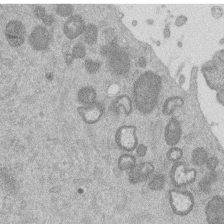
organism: Mouse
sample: Dividing mouse embryo 1 cell stage